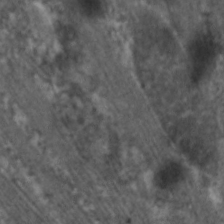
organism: C. elegans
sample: Pharynx